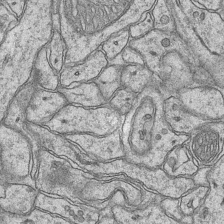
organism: Mouse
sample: CA1 Hippocampus